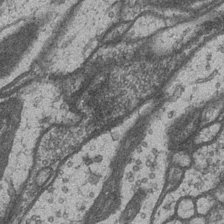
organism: Drosophila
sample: Optic medulla